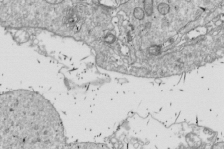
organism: Drosophila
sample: Cell division; meiosis; drosophila spermatocytes